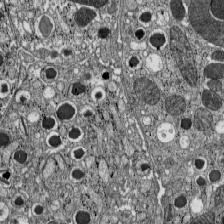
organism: C57BL Mouse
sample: Pancreatic islet